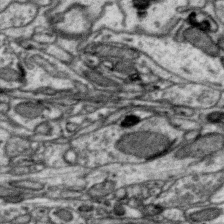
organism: Zebra finch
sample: Brain